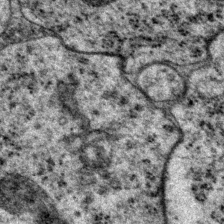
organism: P. pacificus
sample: Pharynx